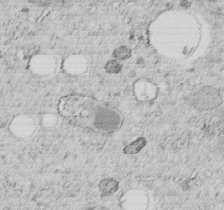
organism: C. elegans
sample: C. elegans embryo early stage